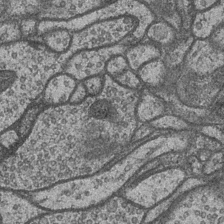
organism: Drosophila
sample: Optic medulla